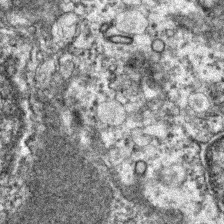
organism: Zebrafish